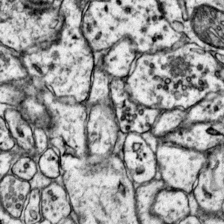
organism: Mouse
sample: Primary visual cortex